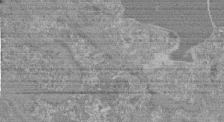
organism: Mouse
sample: Glomerulus